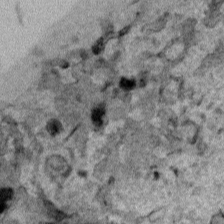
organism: Human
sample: Mitochondria in HCT116 cells